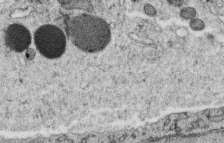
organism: C. elegans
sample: C. elegans oocyte; sperm cells